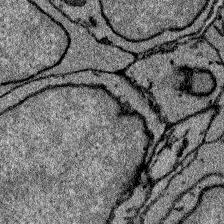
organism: Zebrafish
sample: Larval olfactory bulb